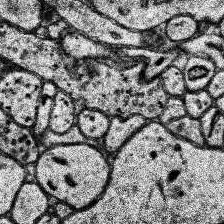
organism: Human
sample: Temporal Lobe